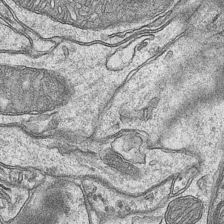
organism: Mouse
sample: CA1 Hippocampus